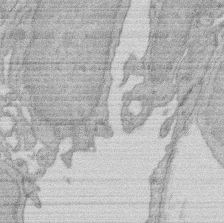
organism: Rat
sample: Salivary granule